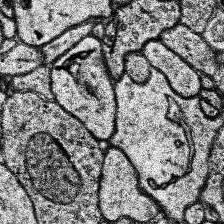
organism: Human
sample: Temporal Lobe